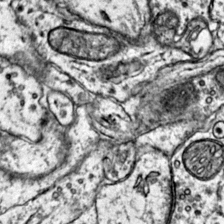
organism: Mouse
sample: Primary visual cortex